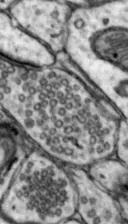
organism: Mouse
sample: Nucleus accumbens